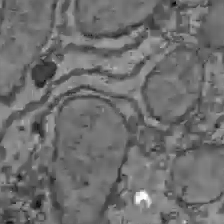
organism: C57BL Mouse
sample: Liver